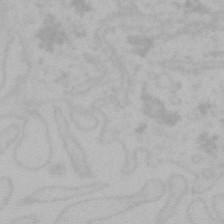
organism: Mouse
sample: Choroid plexus